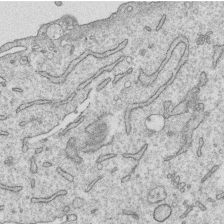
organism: Human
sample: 1205lu cells